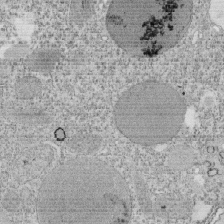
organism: Tetrahymena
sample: Cilia in tetrahymena